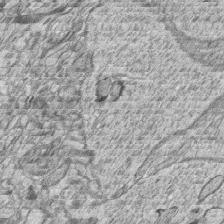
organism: Zebrafish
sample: synaptic ribbons in rod cells and cone cells